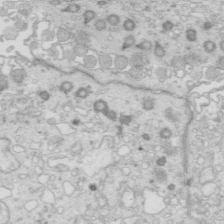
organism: Mouse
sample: Multiciliated cells